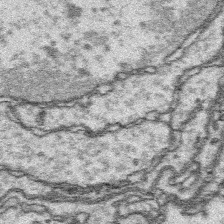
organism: Platynereis dumerilii